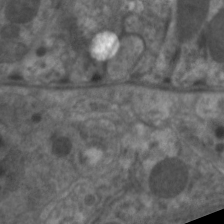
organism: C. elegans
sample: Pharynx